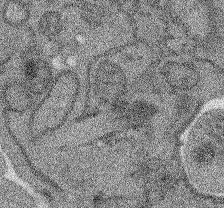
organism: Human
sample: HeLa cells